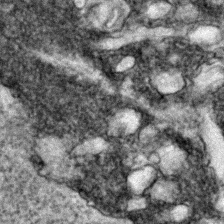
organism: Zebrafish